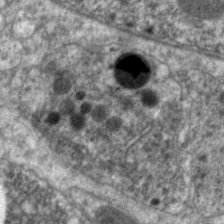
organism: C. elegans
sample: Pharynx